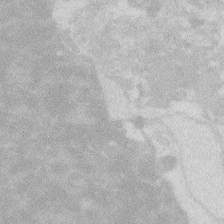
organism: Zebrafish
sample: Macrophage